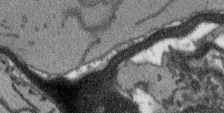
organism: Arabidopsis thaliana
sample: Root tip